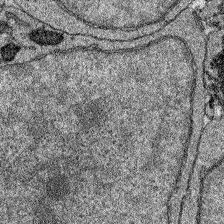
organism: Zebrafish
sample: Larval olfactory bulb